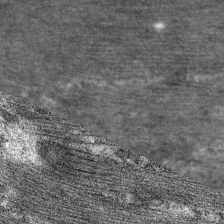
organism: C. elegans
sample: Pharynx